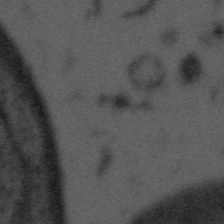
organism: Tuwongella immobilis